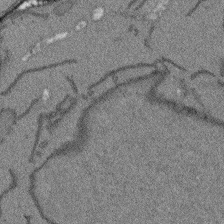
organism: Arabidopsis thaliana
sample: Root tip